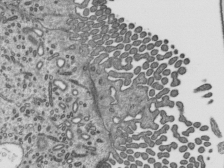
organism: Mouse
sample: Mouse epididymis efferent ductule cilia